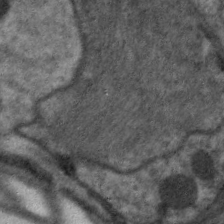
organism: C. elegans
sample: Pharynx